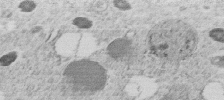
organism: C. elegans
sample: C. elegans embryo early stage